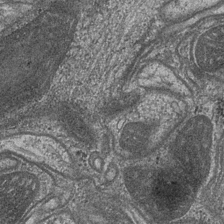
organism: Drosophila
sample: Optic medulla